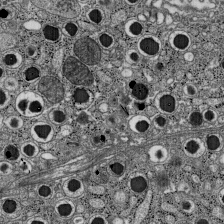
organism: C57BL Mouse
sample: Pancreatic islet